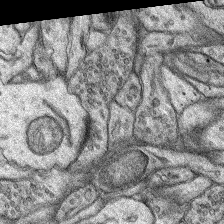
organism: Rat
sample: Hippocampus